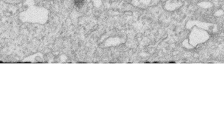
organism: Human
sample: HeLa cell HIV synapse